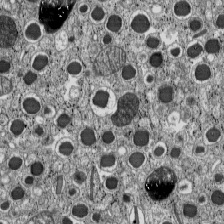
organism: C57BL Mouse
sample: Pancreatic islet